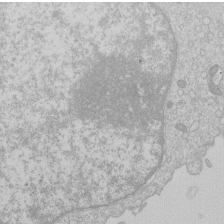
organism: Human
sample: Macrophage cells